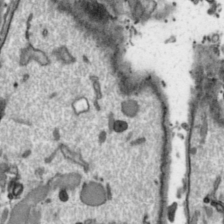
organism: Toxoplasma gondii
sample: Parasites in a vacuole inside a host cell